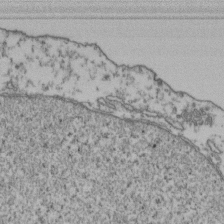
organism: Human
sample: Activated Jurkat CD4+ T cells